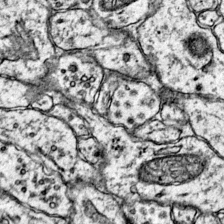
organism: Mouse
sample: Primary visual cortex